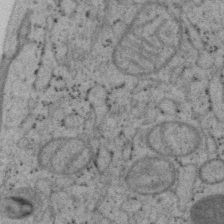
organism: Human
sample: HeLa cells